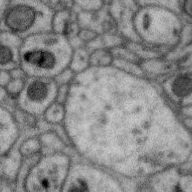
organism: Zebra finch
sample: Brain